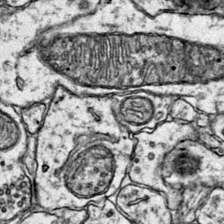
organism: Mouse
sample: Primary visual cortex